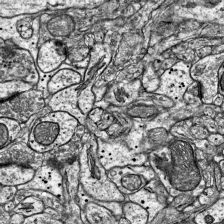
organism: Mouse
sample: Visual Cortex